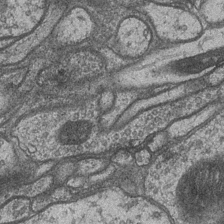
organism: Drosophila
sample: Optic medulla